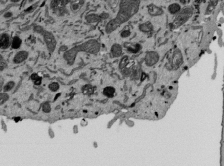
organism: Mouse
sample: ED-1 cell nuclei; centrioles